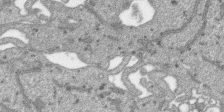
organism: Human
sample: Lung epithelial cells infected with SARS-CoV-2